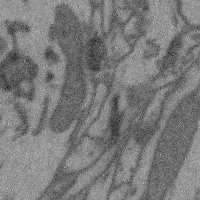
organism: Mouse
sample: Cerebral cortex